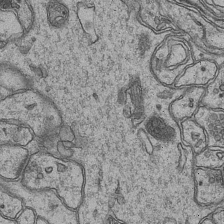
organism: Mouse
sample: CA1 Hippocampus